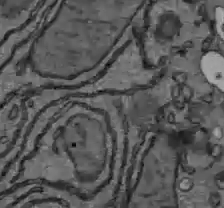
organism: C57BL Mouse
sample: Liver